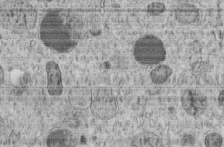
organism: C. elegans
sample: C. elegans embryo early stage